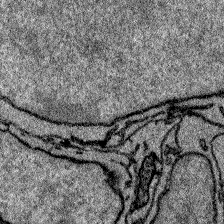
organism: Zebrafish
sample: Larval olfactory bulb